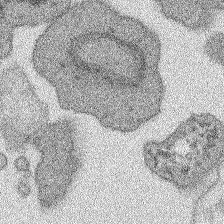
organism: Human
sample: HeLa cells